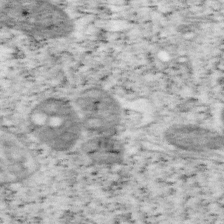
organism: Mouse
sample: OT-I killer T cells with ID8 ovarian cancer cells